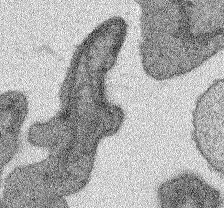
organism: Human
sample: HeLa cells